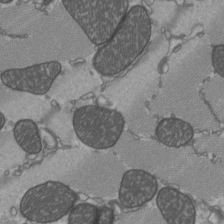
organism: C57BL Mouse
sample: Heart